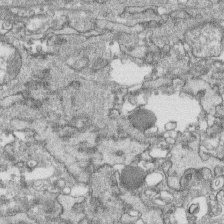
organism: Human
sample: CRL-1474